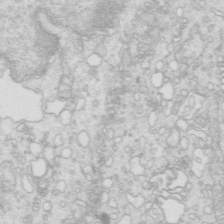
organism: Mouse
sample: Multiciliated cells